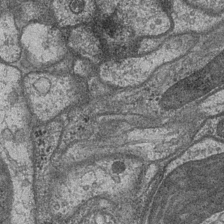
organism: Drosophila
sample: Optic medulla